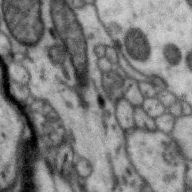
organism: Zebra finch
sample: Brain